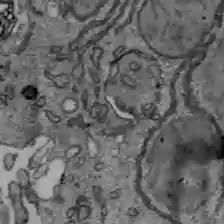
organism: C57BL Mouse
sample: Liver